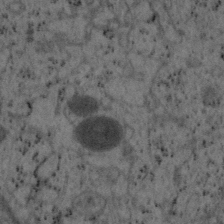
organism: Human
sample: HeLa cells